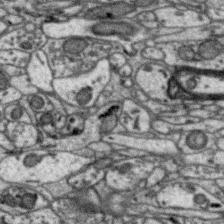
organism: Zebra finch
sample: Brain